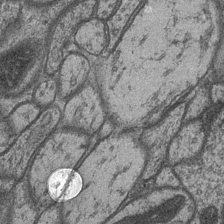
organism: Drosophila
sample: Optic medulla